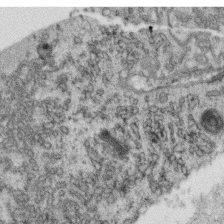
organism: C. elegans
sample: C. elegans oocyte; sperm cells